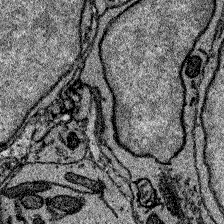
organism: Zebrafish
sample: Larval olfactory bulb